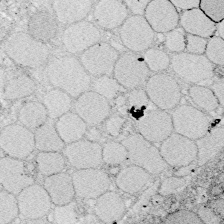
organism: Zebrafish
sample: Whole-Brain